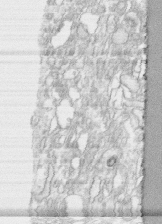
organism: Human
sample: CRL-1474